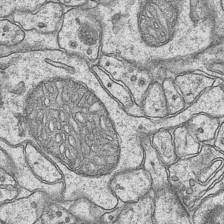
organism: Mouse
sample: CA1 Hippocampus